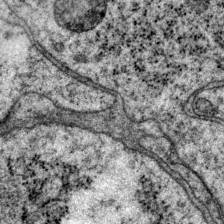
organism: P. pacificus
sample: Pharynx